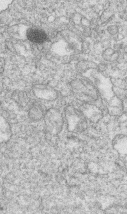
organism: Human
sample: HeLa cell HIV synapse